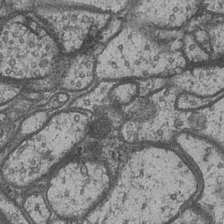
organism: Drosophila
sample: Optic medulla